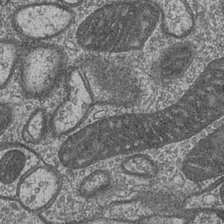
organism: Drosophila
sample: Optic medulla